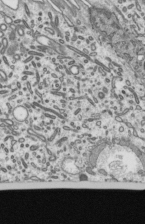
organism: Mouse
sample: Mouse epididymis efferent ductule cilia